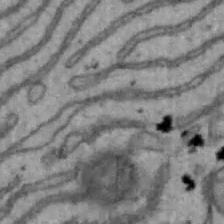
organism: Mouse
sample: Liver